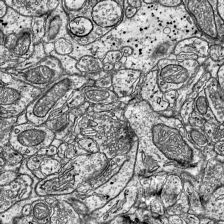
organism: Mouse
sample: Visual Cortex